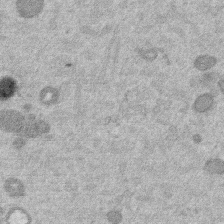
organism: Mouse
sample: Dividing mouse embryo 1 cell stage